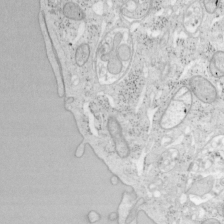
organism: Mouse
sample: OT-I killer T cells with ID8 ovarian cancer cells